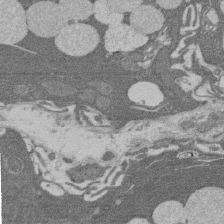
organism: Rat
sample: Salivary granule